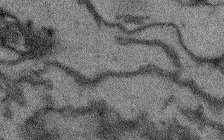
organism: Arabidopsis thaliana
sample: Root tip